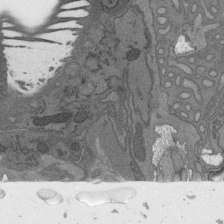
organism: C. elegans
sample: AFD neurons C. elegans